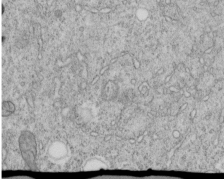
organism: C. elegans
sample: C. elegans embryo early stage